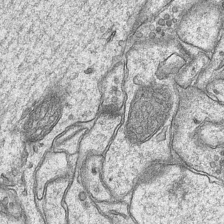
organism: Mouse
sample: CA1 Hippocampus